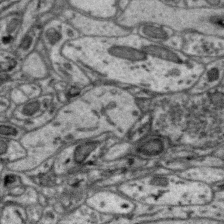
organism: Zebra finch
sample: Brain